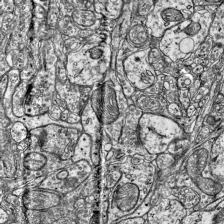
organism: Mouse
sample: Visual Cortex